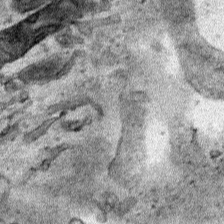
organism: Human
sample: Mitochondria in HCT116 cells